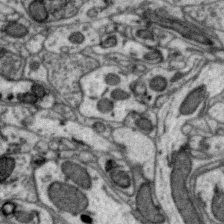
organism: Zebra finch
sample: Brain